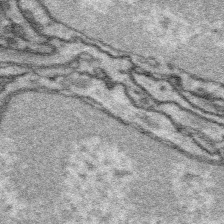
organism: Platynereis dumerilii